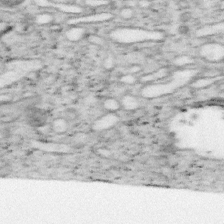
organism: Mouse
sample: OT-I killer T cells with ID8 ovarian cancer cells